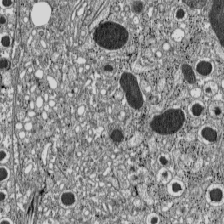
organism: C57BL Mouse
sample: Pancreatic islet